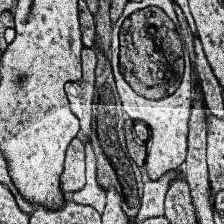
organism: Human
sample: Temporal Lobe